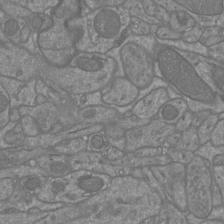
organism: Mouse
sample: Cortical neurons